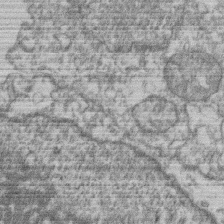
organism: Mouse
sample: T cell stromal cell synapse